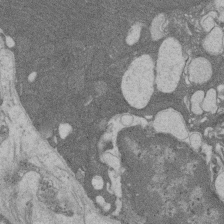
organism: Rat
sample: Salivary granule